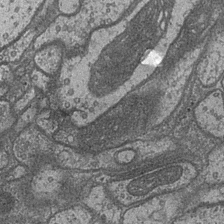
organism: Drosophila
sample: Optic medulla